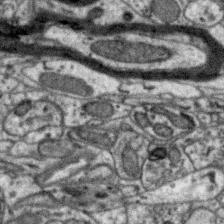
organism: Zebra finch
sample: Brain